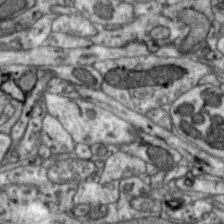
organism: Zebra finch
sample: Brain